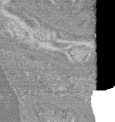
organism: Mouse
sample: Glomerulus